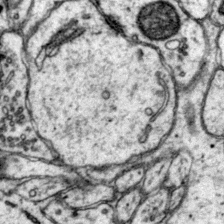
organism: Mouse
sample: Primary visual cortex